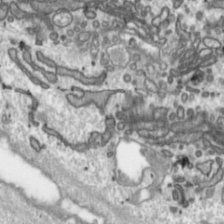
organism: Toxoplasma gondii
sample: Parasites in a vacuole inside a host cell